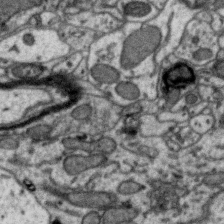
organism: Zebra finch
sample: Brain